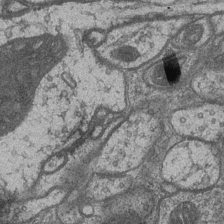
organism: Drosophila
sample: Optic medulla